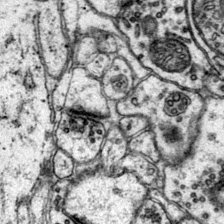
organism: Mouse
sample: Primary visual cortex